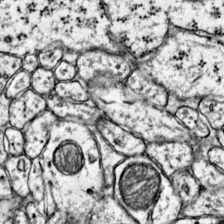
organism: Mouse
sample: Primary visual cortex